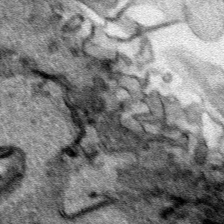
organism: Human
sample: Mitochondria in HCT116 cells